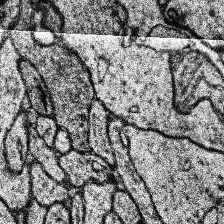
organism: Human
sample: Temporal Lobe